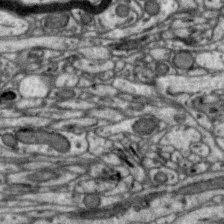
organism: Zebra finch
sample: Brain